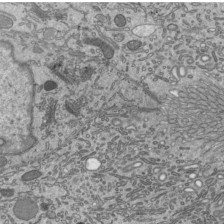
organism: Mouse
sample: Mouse epididymis efferent ductule cilia